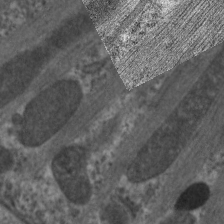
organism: C. elegans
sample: Pharynx